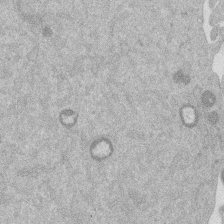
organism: Mouse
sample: Dividing mouse embryo 1 cell stage